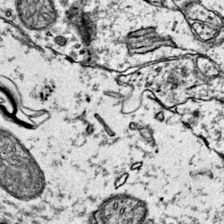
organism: Mouse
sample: Primary visual cortex